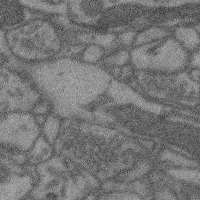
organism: Mouse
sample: Cerebral cortex